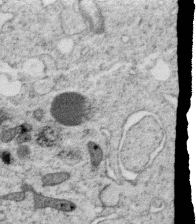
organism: C. elegans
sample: C. elegans oocyte; sperm cells